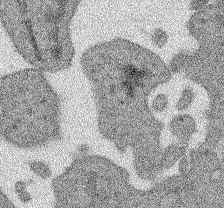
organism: Human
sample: HeLa cells